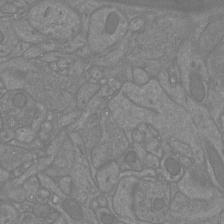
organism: Mouse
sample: Cortical neurons